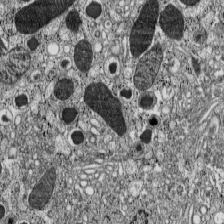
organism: C57BL Mouse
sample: Pancreatic islet